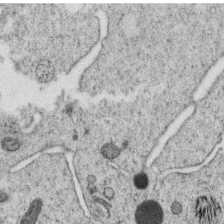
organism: C. elegans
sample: C. elegans oocyte; sperm cells